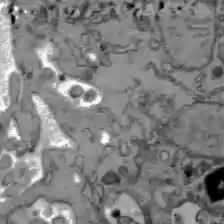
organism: C57BL Mouse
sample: Liver